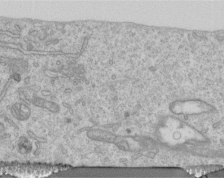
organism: Human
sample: Centriole in RPE cells